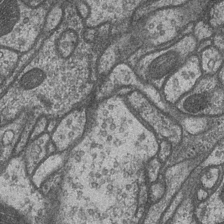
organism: Drosophila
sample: Optic medulla